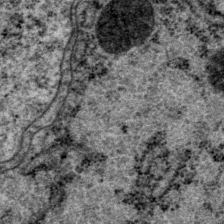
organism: P. pacificus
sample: Pharynx